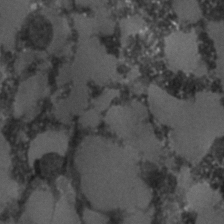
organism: C. elegans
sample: C. elegans embryo